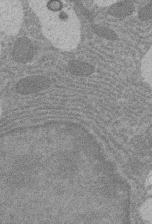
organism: Rat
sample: Salivary granule